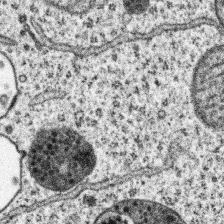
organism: Human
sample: HeLa cells